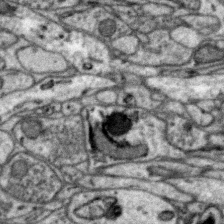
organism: Zebra finch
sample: Brain